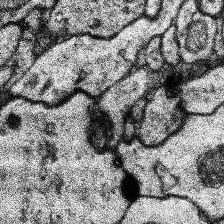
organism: Human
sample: Temporal Lobe